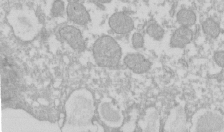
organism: Xenopus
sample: Cilia; centrioles in frog embryo cells